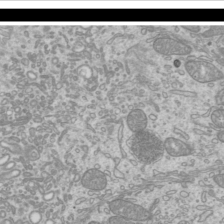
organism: Mouse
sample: Cilia; mouse epididymis